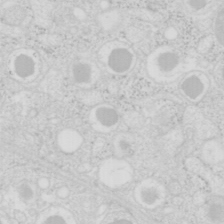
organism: Mouse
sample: Pancreas